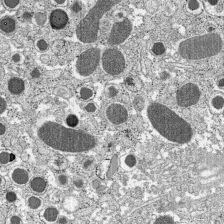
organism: C57BL Mouse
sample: Pancreatic islet